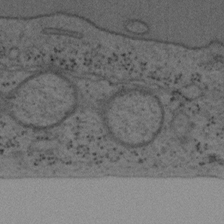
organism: Human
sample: HeLa cells